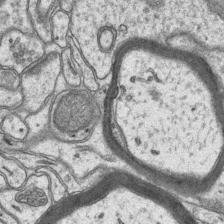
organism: Mouse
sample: CA1 Hippocampus